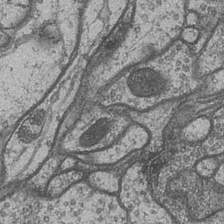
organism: Drosophila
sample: Optic medulla